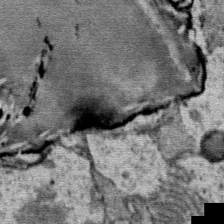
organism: Mouse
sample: Mouse Salivary gland